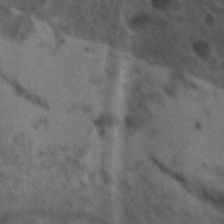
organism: Zebrafish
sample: Zebrafish embryo